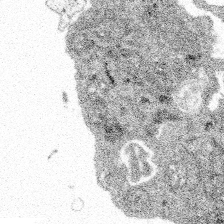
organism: Spongilla lacustris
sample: Multiple